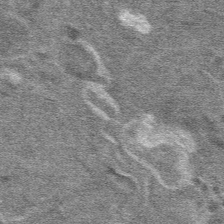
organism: Mouse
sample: Mouse hepatocytes